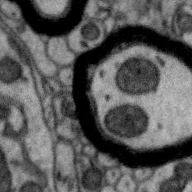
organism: Zebra finch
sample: Brain